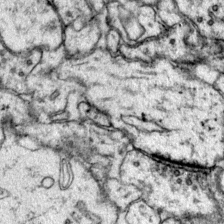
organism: Mouse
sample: Primary visual cortex